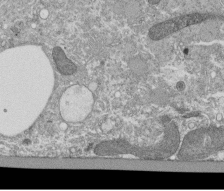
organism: Tetrahymena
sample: Cilia in tetrahymena